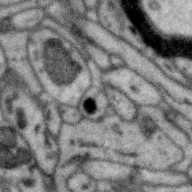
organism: Zebra finch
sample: Brain